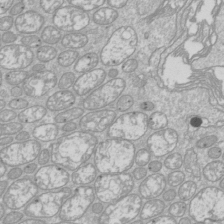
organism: Drosophila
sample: Cell division; meiosis; drosophila spermatocytes